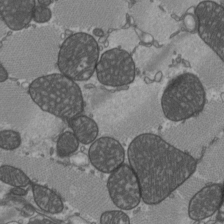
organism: C57BL Mouse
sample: Heart